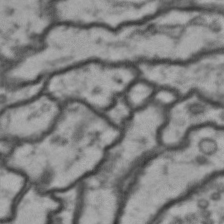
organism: Drosophila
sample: Brain